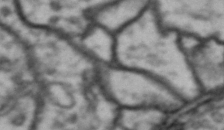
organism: Drosophila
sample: Brain